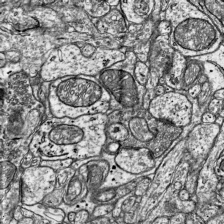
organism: Mouse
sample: Visual Cortex